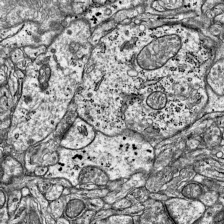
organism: Mouse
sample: Visual Cortex